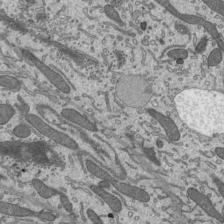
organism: Mouse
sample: Mouse epididymis efferent ductule cilia